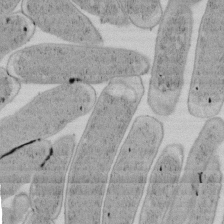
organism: E. coli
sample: Bacterial nucleoid